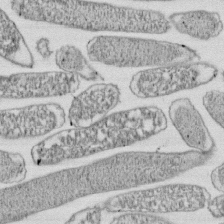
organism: E. coli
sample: Bacterial nucleoid